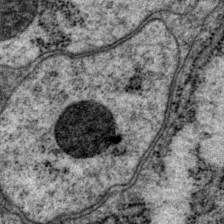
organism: P. pacificus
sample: Pharynx